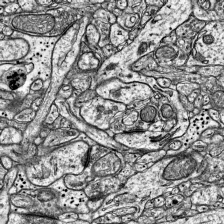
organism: Mouse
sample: Visual Cortex